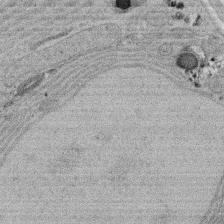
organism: Rat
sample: Salivary granule